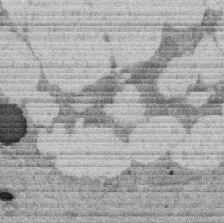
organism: Rat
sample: Salivary granule